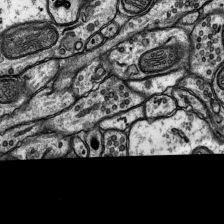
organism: Rat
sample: Hippocampus